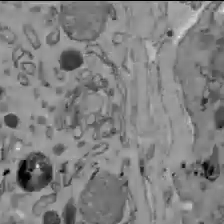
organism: C57BL Mouse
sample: Liver